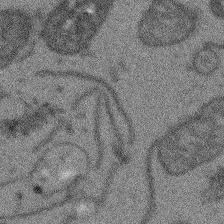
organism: Arabidopsis thaliana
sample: Root tip